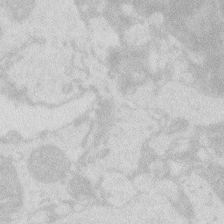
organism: Zebrafish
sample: Macrophage